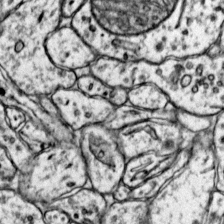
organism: Mouse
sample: Primary visual cortex